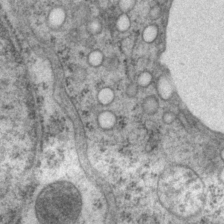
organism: P. pacificus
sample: Pharynx